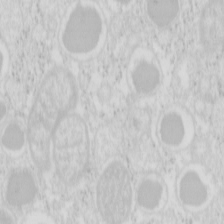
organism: Mouse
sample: Pancreas